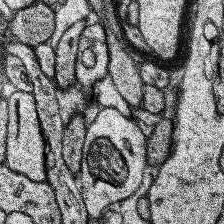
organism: Human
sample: Temporal Lobe